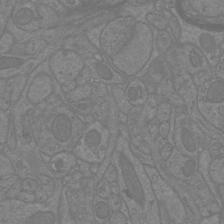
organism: Mouse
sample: Cortical neurons